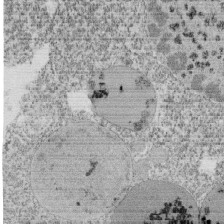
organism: Tetrahymena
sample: Cilia in tetrahymena